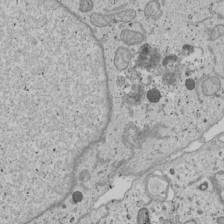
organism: Human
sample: Mitochondria in U2OS cells